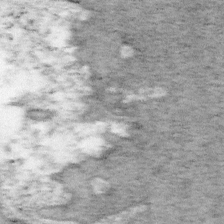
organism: Mouse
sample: OT-I killer T cells with ID8 ovarian cancer cells